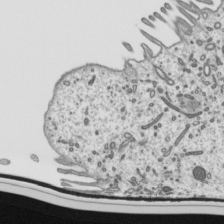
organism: Mouse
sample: Mouse epididymis efferent ductule cilia